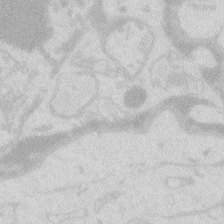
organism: Zebrafish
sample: Macrophage